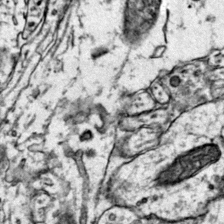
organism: Mouse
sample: Primary visual cortex